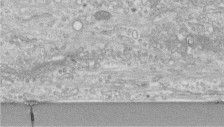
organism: Human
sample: Centriole in fibroblast cells